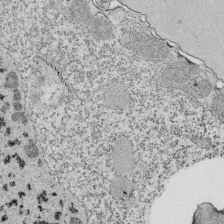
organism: Tetrahymena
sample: Cilia in tetrahymena